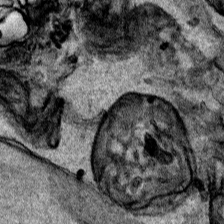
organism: Human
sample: Mitochondria in HCT116 cells